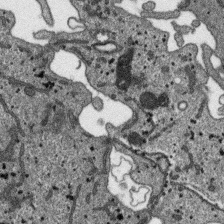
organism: Human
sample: Lung epithelial cells infected with SARS-CoV-2